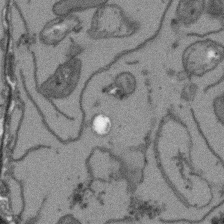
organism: Arabidopsis thaliana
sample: Root tip